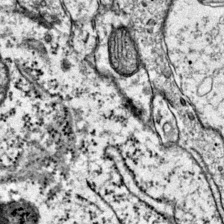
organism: Mouse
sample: Primary visual cortex